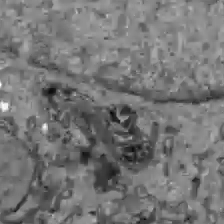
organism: C57BL Mouse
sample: Liver